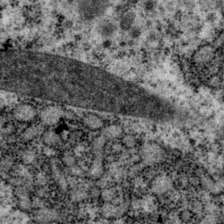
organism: P. pacificus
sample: Pharynx